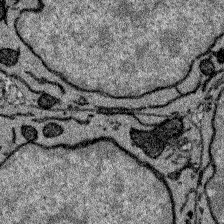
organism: Zebrafish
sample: Larval olfactory bulb